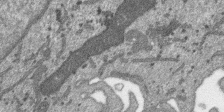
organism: Human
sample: Lung epithelial cells infected with SARS-CoV-2